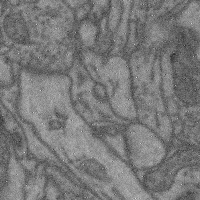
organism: Mouse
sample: Cerebral cortex